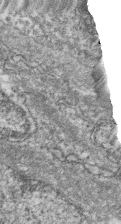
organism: Zebrafish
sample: Cilia; retinal pigment epithelium